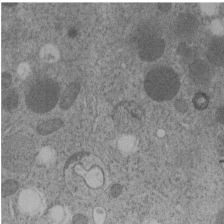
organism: C. elegans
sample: C. elegans embryo early stage